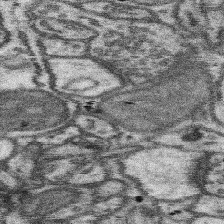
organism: Mouse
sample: Somatosensory cortex neuropil